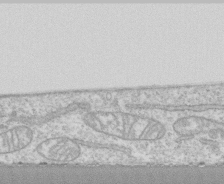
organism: Human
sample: CRL-1474